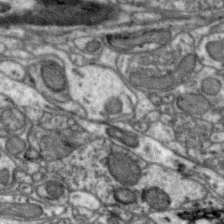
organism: Zebra finch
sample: Brain